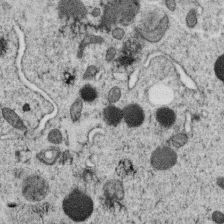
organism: C. elegans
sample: C. elegans oocyte; sperm cells